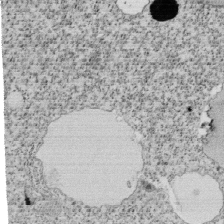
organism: Tetrahymena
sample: Cilia in tetrahymena